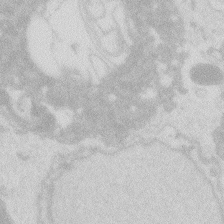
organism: Zebrafish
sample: Macrophage